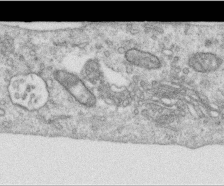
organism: Human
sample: Centriole in RPE cells